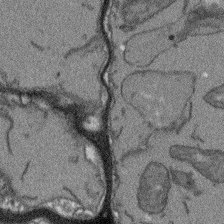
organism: Arabidopsis thaliana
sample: Root tip